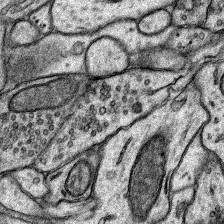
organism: Rat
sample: Hippocampus